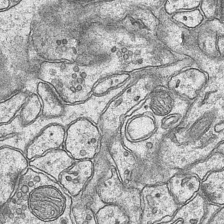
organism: Mouse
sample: CA1 Hippocampus